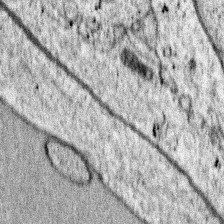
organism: Human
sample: HeLa cells